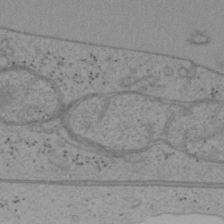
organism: Human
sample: HeLa cells